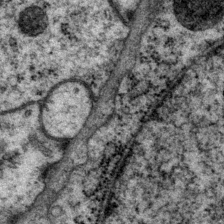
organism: P. pacificus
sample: Pharynx